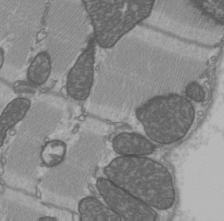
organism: C57BL Mouse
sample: Heart